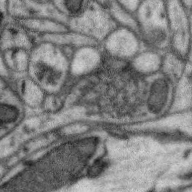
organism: Zebra finch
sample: Brain